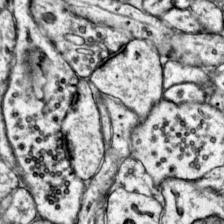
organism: Mouse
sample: Primary visual cortex